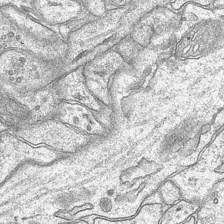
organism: Mouse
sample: CA1 Hippocampus